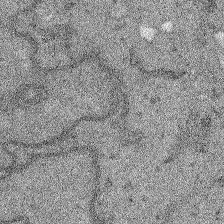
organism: Human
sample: HeLa cells